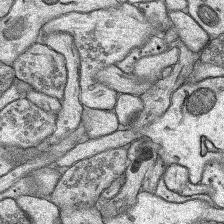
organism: Rat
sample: Hippocampus